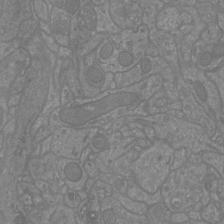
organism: Mouse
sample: Cortical neurons